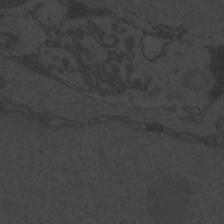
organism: Zebrafish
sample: Macrophage infected with Toxoplasma gondii